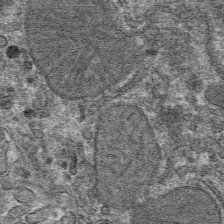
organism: Mouse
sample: Mouse hepatocytes